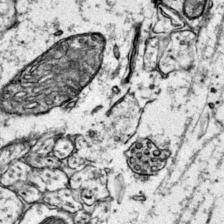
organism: Mouse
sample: Primary visual cortex